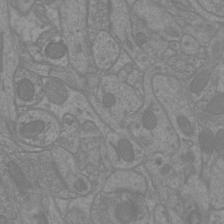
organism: Mouse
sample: Cortical neurons